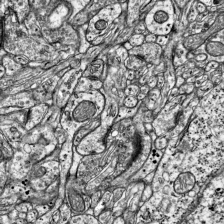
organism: Mouse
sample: Visual Cortex